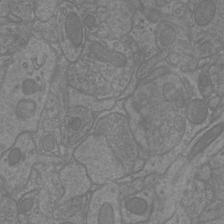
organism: Mouse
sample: Cortical neurons